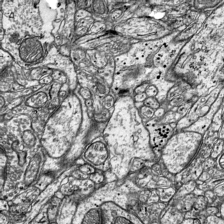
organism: Mouse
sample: Visual Cortex